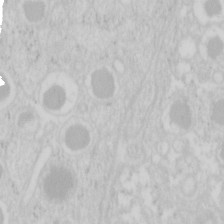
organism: Mouse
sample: Pancreas